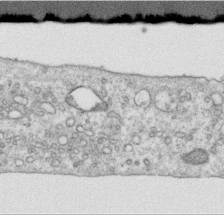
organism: Human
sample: Centriole in RPE cells